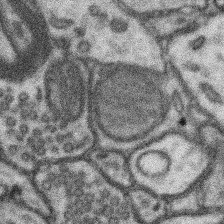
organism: Mouse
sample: Somatosensory cortex neuropil